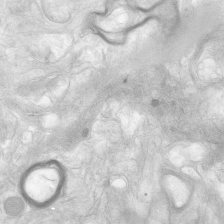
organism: Human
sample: Neocortex